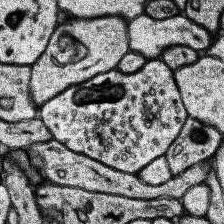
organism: Human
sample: Temporal Lobe